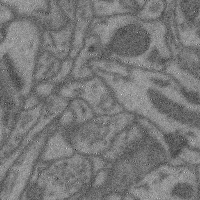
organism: Mouse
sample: Cerebral cortex